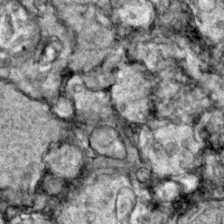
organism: Zebrafish